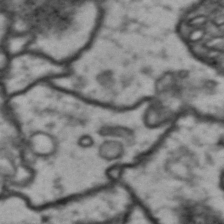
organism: Drosophila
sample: Brain